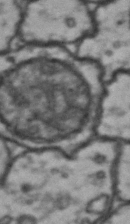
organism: Drosophila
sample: Brain